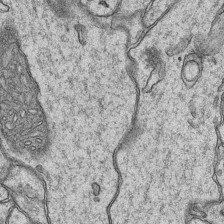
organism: Mouse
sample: CA1 Hippocampus